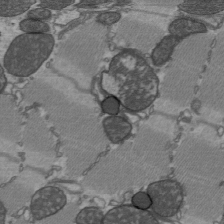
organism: C57BL Mouse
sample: Heart